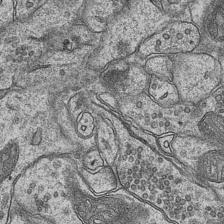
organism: Mouse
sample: CA1 Hippocampus